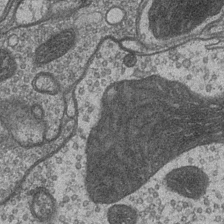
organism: Drosophila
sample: Optic medulla